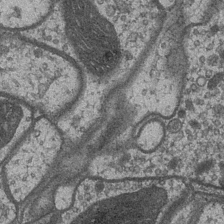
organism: Drosophila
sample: Optic medulla